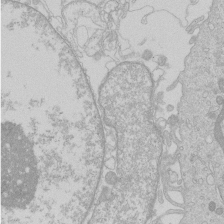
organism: Human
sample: Macrophage cells